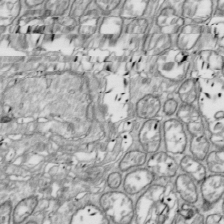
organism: Drosophila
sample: Cell division; meiosis; drosophila spermatocytes